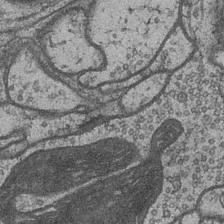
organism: Drosophila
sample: Optic medulla